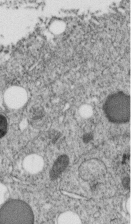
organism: C. elegans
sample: C. elegans embryo early stage